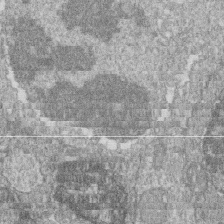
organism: Zebrafish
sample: Cilia; retinal pigment epithelium